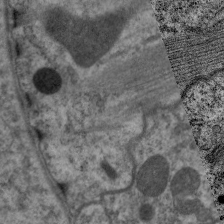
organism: C. elegans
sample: Pharynx